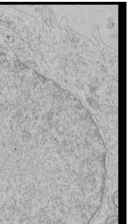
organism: Human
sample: Mitochondria in HCT116 cells